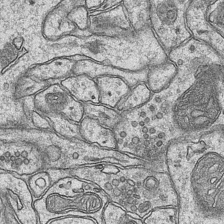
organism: Mouse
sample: CA1 Hippocampus